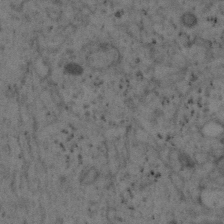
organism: Human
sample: HeLa cells